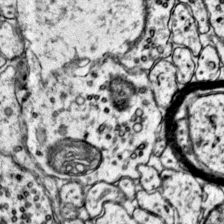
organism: Mouse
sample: Primary visual cortex